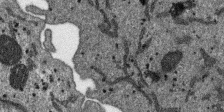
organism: Human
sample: Lung epithelial cells infected with SARS-CoV-2